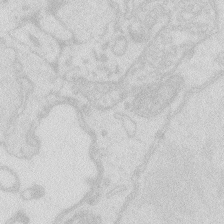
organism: Zebrafish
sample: Macrophage